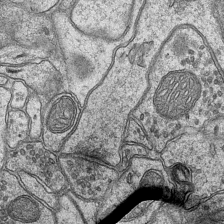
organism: Mouse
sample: CA1 Hippocampus